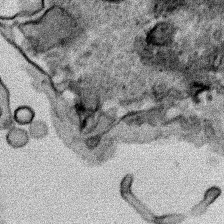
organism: Human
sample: Mitochondria in HCT116 cells